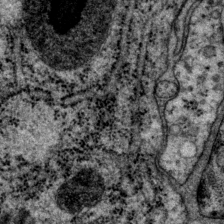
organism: P. pacificus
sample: Pharynx